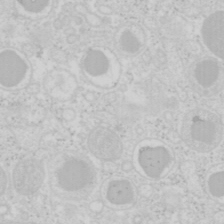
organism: Mouse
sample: Pancreas